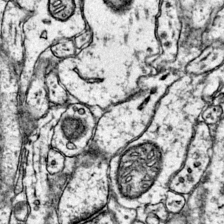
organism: Mouse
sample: Primary visual cortex